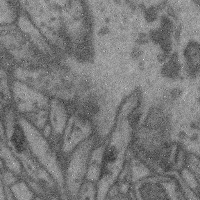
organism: Mouse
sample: Cerebral cortex